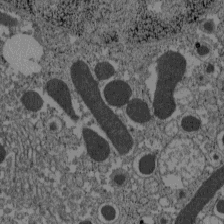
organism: C57BL Mouse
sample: Pancreatic islet